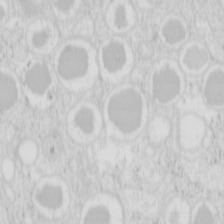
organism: Mouse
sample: Pancreas